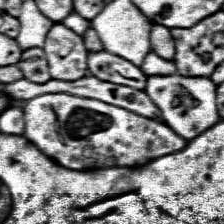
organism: Human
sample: Temporal Lobe